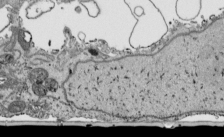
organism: Human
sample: Mitochondria in HCT116 cells